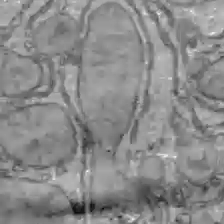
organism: C57BL Mouse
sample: Liver